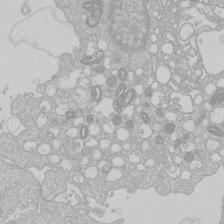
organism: Human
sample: Macrophage cells